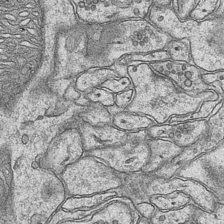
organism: Mouse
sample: CA1 Hippocampus